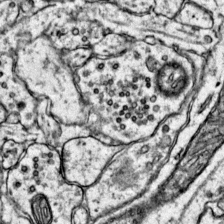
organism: Mouse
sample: Primary visual cortex